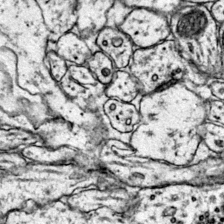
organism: Mouse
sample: Primary visual cortex